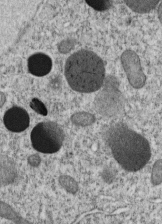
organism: C. elegans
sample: C. elegans embryo early stage